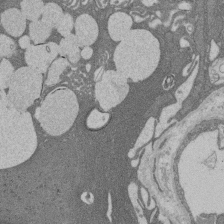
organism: Rat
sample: Salivary granule